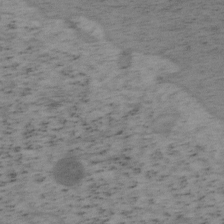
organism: Mouse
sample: OT-I killer T cells with ID8 ovarian cancer cells